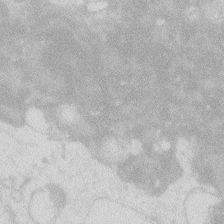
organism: Zebrafish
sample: Macrophage